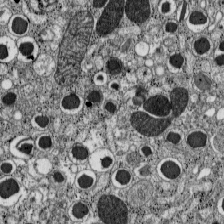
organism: C57BL Mouse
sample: Pancreatic islet